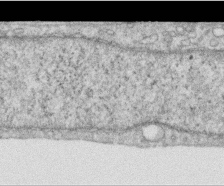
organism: Human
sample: Centriole in RPE cells